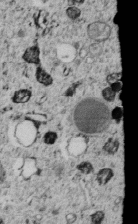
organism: C. elegans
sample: C. elegans embryo early stage